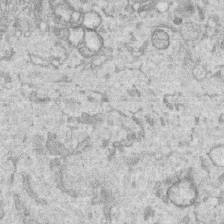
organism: Human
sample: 1205lu cells